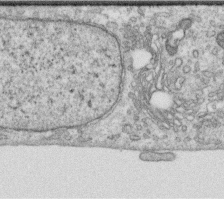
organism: Human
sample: Centriole in RPE cells